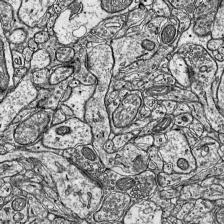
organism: Mouse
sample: Visual Cortex